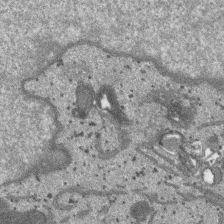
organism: Human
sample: Lung epithelial cells infected with SARS-CoV-2